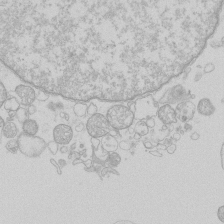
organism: Human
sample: Macrophage cells